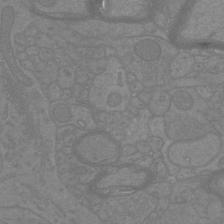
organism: Mouse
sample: Cortical neurons